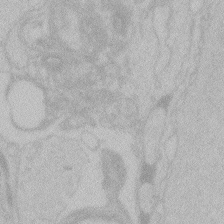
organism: Zebrafish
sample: Macrophage infected with Toxoplasma gondii